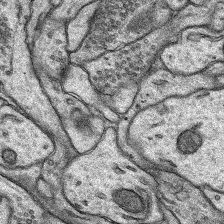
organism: Rat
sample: Hippocampus